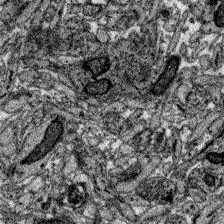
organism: Zebrafish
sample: Larval olfactory bulb